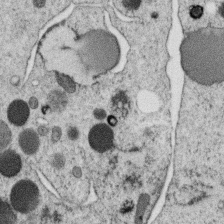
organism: C. elegans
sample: C. elegans oocyte; sperm cells